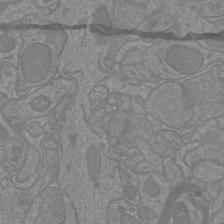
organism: Mouse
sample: Cortical neurons